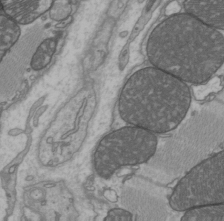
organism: C57BL Mouse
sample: Heart